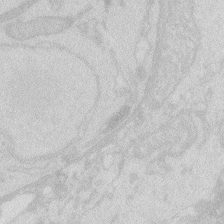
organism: Zebrafish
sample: Macrophage